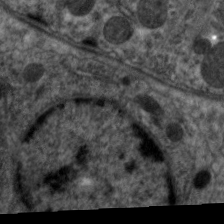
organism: C. elegans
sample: Pharynx